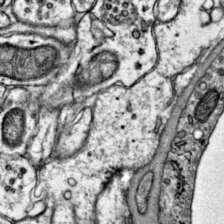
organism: Mouse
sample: Primary visual cortex